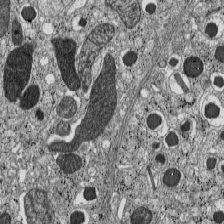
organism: C57BL Mouse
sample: Pancreatic islet